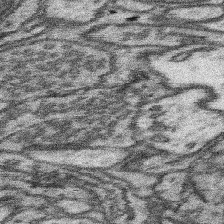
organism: Mouse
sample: Somatosensory cortex neuropil